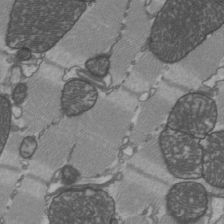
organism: C57BL Mouse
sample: Heart